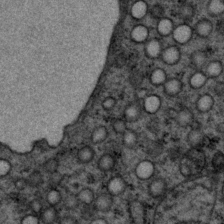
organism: P. pacificus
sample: Pharynx